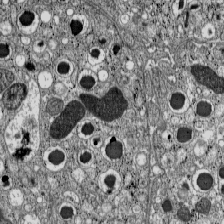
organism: C57BL Mouse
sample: Pancreatic islet